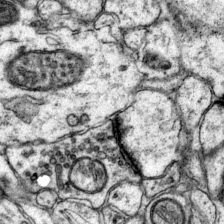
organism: Mouse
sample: Primary visual cortex